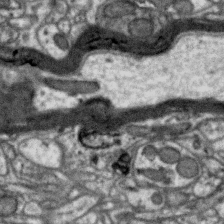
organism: Zebra finch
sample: Brain